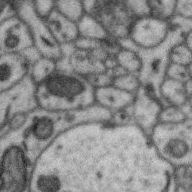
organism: Zebra finch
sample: Brain